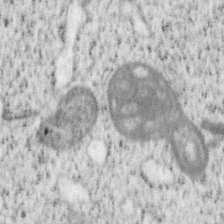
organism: Mouse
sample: OT-I killer T cells with ID8 ovarian cancer cells